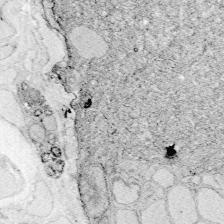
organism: Zebrafish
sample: Whole-Brain